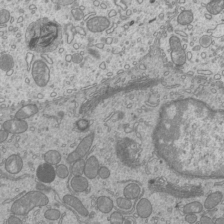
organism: Mouse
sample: Cilia; mouse epididymis